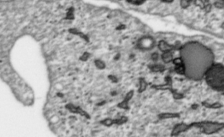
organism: Toxoplasma gondii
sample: Parasites in a vacuole inside a host cell